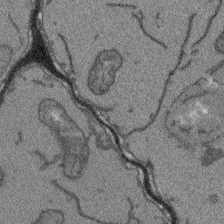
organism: Arabidopsis thaliana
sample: Root tip